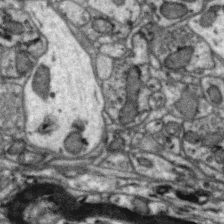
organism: Zebra finch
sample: Brain